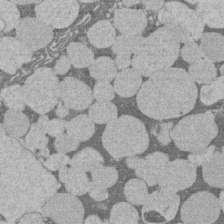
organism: Rat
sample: Salivary granule